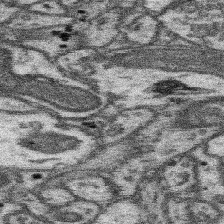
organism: Mouse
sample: Somatosensory cortex neuropil